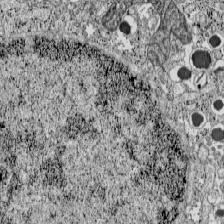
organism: C57BL Mouse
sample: Pancreatic islet